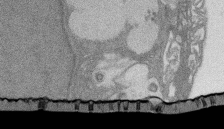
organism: Rat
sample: Salivary granule